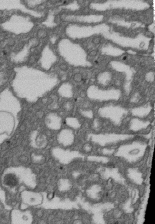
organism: Drosophila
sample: Nephrocyte